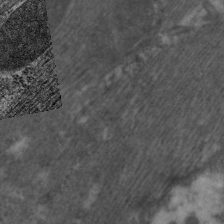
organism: C. elegans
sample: Pharynx